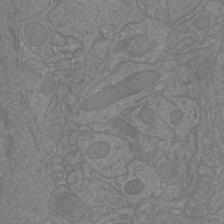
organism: Mouse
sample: Cortical neurons